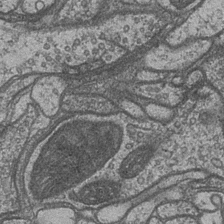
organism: Drosophila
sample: Optic medulla